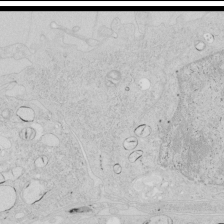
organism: Human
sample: Mitochondria in HCT116 cells